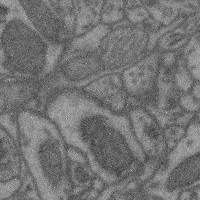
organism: Mouse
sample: Cerebral cortex